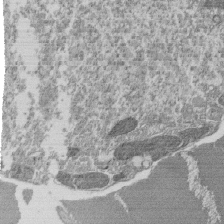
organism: Tetrahymena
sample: Cilia in tetrahymena